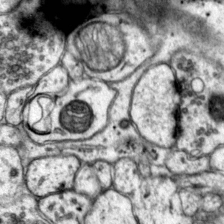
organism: Mouse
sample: Primary visual cortex